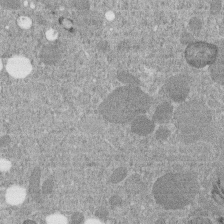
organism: C. elegans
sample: C. elegans embryo early stage